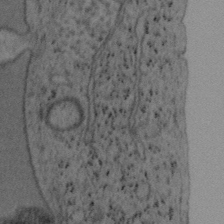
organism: Human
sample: HeLa cells